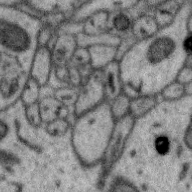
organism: Zebra finch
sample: Brain